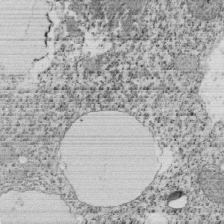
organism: Tetrahymena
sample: Cilia in tetrahymena